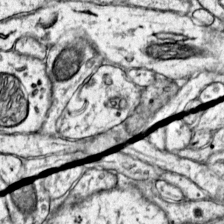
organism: Mouse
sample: Primary visual cortex